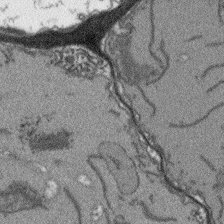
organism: Arabidopsis thaliana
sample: Root tip